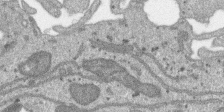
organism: Human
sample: Lung epithelial cells infected with SARS-CoV-2